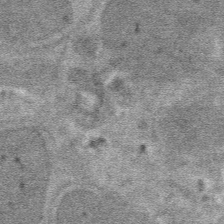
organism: Mouse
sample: Mouse hepatocytes